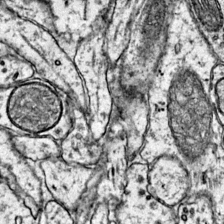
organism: Mouse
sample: Primary visual cortex